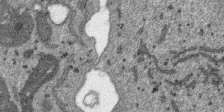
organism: Human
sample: Lung epithelial cells infected with SARS-CoV-2